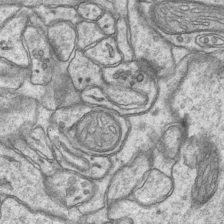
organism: Mouse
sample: CA1 Hippocampus